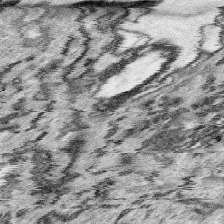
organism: Human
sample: HeLa cells